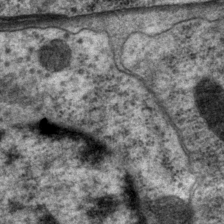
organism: P. pacificus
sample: Pharynx